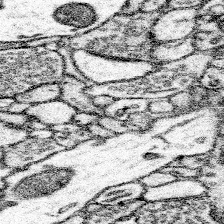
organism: Mouse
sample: Somatosensory cortex neuropil